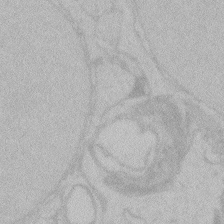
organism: Zebrafish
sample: Macrophage infected with Toxoplasma gondii